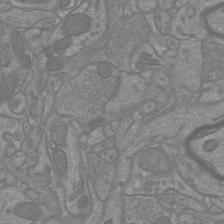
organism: Mouse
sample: Cortical neurons